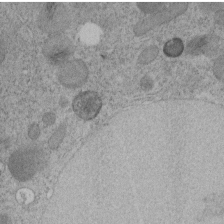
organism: C. elegans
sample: C. elegans embryo early stage